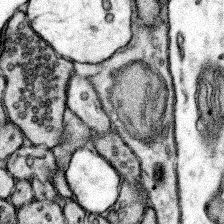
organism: Mouse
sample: Somatosensory cortex neuropil